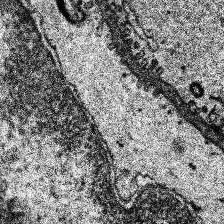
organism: Human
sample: Temporal Lobe